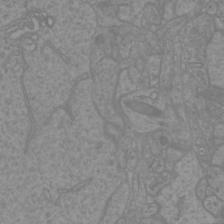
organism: Mouse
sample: Cortical neurons